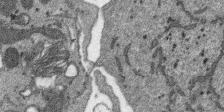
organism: Human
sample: Lung epithelial cells infected with SARS-CoV-2